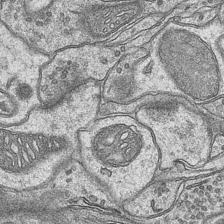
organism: Mouse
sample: CA1 Hippocampus